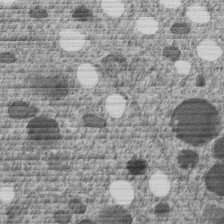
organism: C. elegans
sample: C. elegans embryo early stage